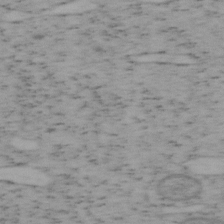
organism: Mouse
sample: OT-I killer T cells with ID8 ovarian cancer cells